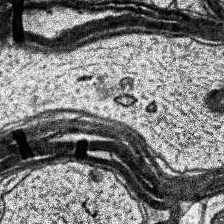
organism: Human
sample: Temporal Lobe